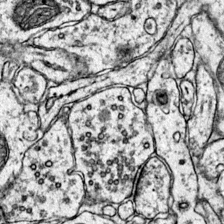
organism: Mouse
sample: Primary visual cortex